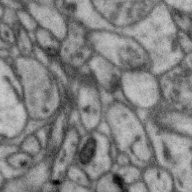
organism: Zebra finch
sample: Brain